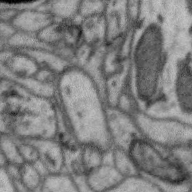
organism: Zebra finch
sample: Brain